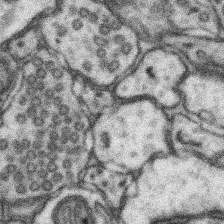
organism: Mouse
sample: Somatosensory cortex neuropil